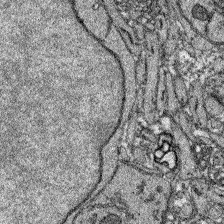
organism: Zebrafish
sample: Larval olfactory bulb